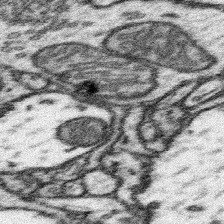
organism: Mouse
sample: Somatosensory cortex neuropil